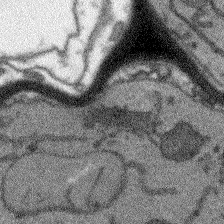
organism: Arabidopsis thaliana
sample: Root tip